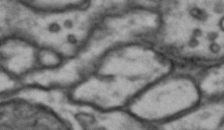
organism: Drosophila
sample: Brain